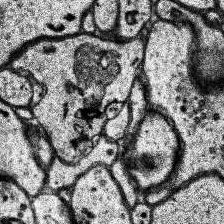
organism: Human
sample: Temporal Lobe